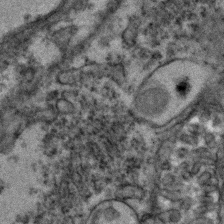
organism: Zebrafish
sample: Zebrafish embryo